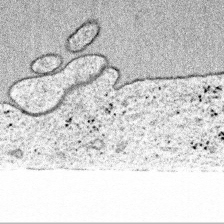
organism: Human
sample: HeLa cells